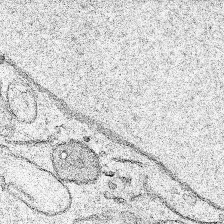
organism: Human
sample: Mitochondria in HCT116 cells